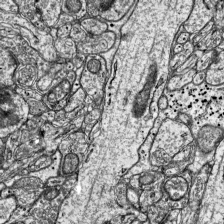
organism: Mouse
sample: Visual Cortex